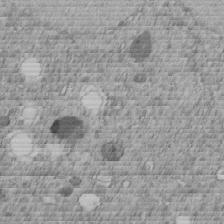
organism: C. elegans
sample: C. elegans embryo early stage